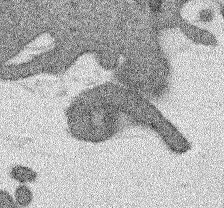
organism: Human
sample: HeLa cells